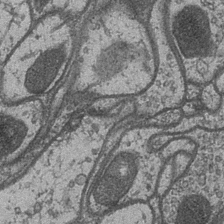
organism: Drosophila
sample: Optic medulla